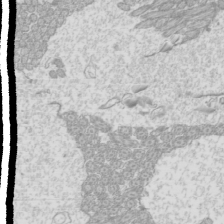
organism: Mouse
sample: Cilia; mouse epididymis